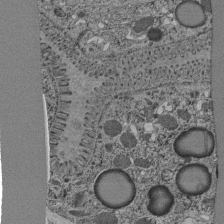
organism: C. elegans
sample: C. elegans pharynx